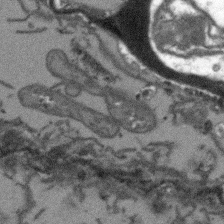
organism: Arabidopsis thaliana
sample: Root tip